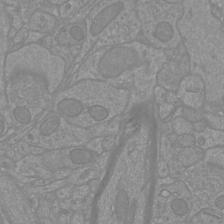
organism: Mouse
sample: Cortical neurons